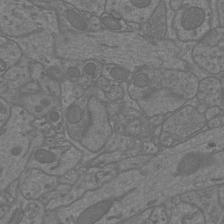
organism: Mouse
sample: Cortical neurons